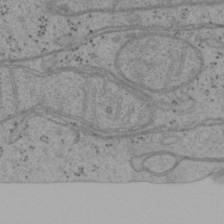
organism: Human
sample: HeLa cells